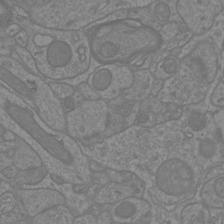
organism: Mouse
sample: Cortical neurons